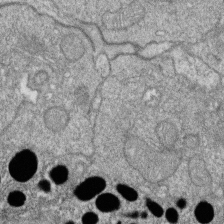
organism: Zebrafish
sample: Cilia; retinal pigment epithelium